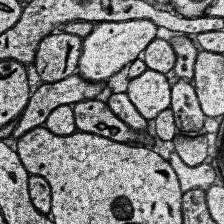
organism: Human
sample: Temporal Lobe